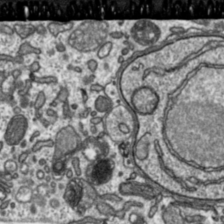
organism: Toxoplasma gondii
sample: Parasites in a vacuole inside a host cell